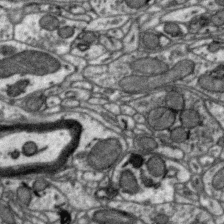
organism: Zebra finch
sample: Brain